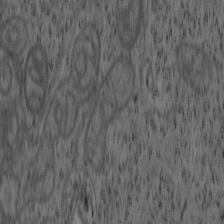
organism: Human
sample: HeLa cells